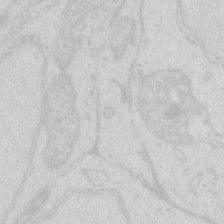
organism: Zebrafish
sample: Macrophage